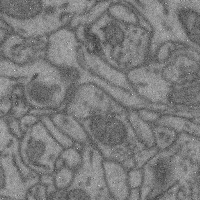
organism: Mouse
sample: Cerebral cortex